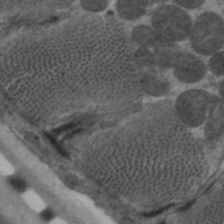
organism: C. elegans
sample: Pharynx